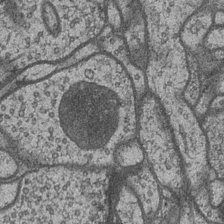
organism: Drosophila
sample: Optic medulla